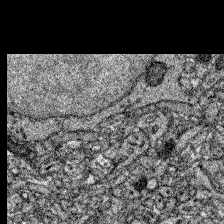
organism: Zebrafish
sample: Larval olfactory bulb